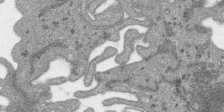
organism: Human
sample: Lung epithelial cells infected with SARS-CoV-2